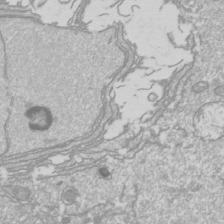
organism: Drosophila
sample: Cell division; meiosis; drosophila spermatocytes